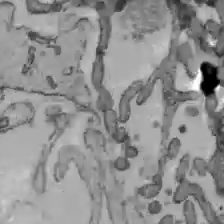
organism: C57BL Mouse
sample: Liver